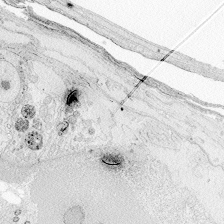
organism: Zebrafish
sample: Whole-Brain